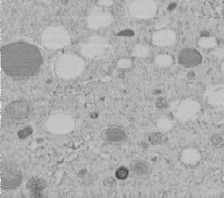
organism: C. elegans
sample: C. elegans embryo early stage